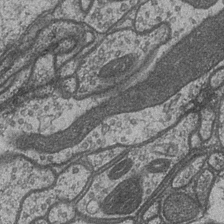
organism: Drosophila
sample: Optic medulla